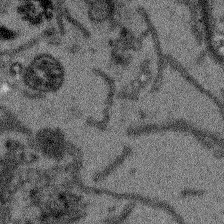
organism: Arabidopsis thaliana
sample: Root tip